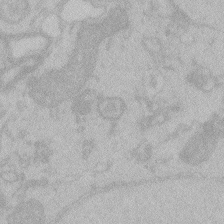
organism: Zebrafish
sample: Macrophage infected with Toxoplasma gondii